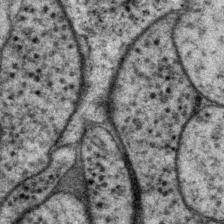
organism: P. pacificus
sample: Pharynx